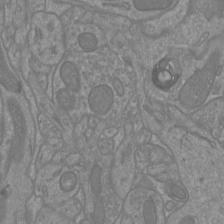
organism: Mouse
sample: Cortical neurons